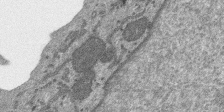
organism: Human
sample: Lung epithelial cells infected with SARS-CoV-2